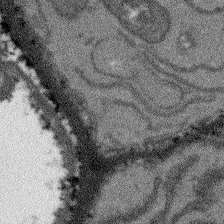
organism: Arabidopsis thaliana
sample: Root tip